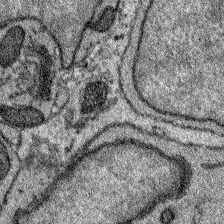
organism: Zebrafish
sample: Larval olfactory bulb